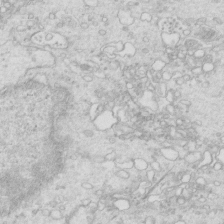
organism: Mouse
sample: Multiciliated cells